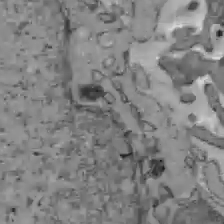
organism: C57BL Mouse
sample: Liver